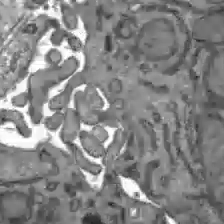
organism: C57BL Mouse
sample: Liver